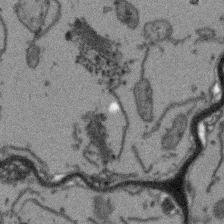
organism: Arabidopsis thaliana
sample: Root tip